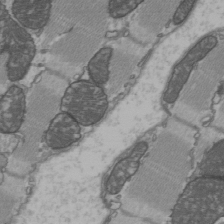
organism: C57BL Mouse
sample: Heart